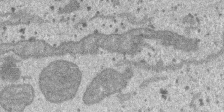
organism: Human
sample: Lung epithelial cells infected with SARS-CoV-2